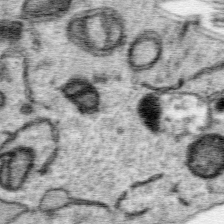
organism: Human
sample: HeLa cells